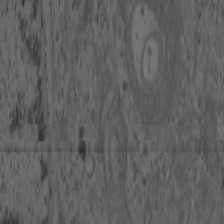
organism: Human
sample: HeLa cells